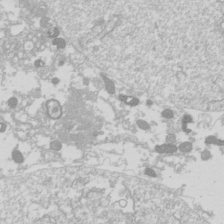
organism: Drosophila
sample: Cell division; meiosis; drosophila spermatocytes